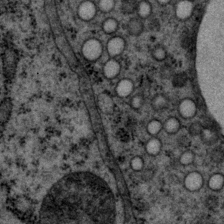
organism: P. pacificus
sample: Pharynx